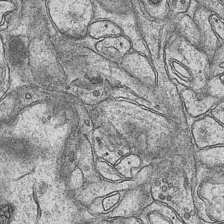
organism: Mouse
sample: CA1 Hippocampus